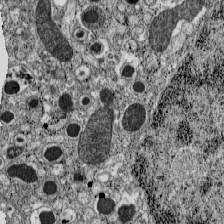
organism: C57BL Mouse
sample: Pancreatic islet